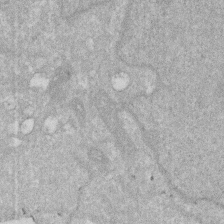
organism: Human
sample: HIV infected U937 cells